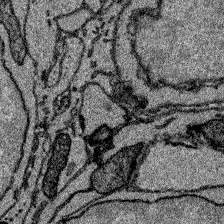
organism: Zebrafish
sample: Larval olfactory bulb